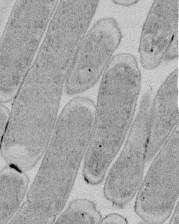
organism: E. coli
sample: Bacterial nucleoid